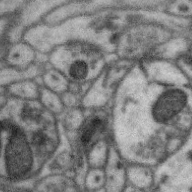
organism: Zebra finch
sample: Brain